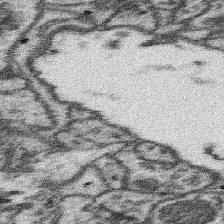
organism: Mouse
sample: Somatosensory cortex neuropil